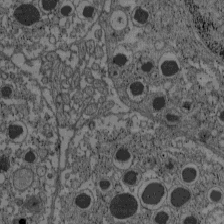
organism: C57BL Mouse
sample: Pancreatic islet